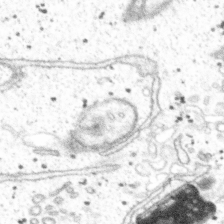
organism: Human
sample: HeLa cells